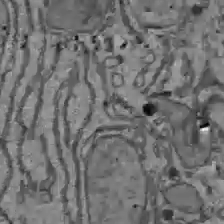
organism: C57BL Mouse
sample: Liver